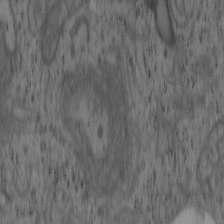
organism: Human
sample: HeLa cells